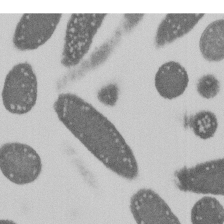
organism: E. coli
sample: Bacterial nucleoid